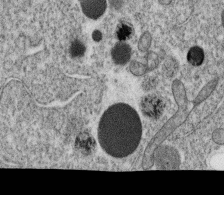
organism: C. elegans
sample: C. elegans oocyte; sperm cells